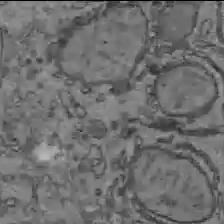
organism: C57BL Mouse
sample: Liver